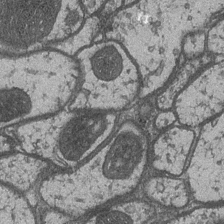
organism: Drosophila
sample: Optic medulla